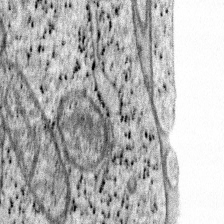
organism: Human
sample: HeLa cells